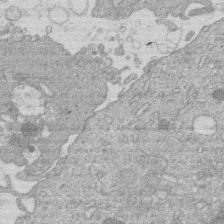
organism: Human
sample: Macrophage cells